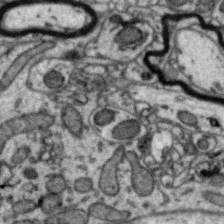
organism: Zebra finch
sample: Brain